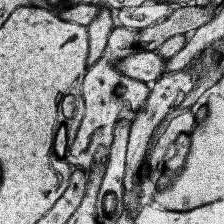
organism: Human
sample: Temporal Lobe